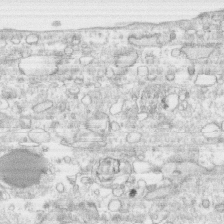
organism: Human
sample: CRL-1474